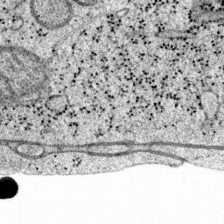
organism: Human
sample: HeLa cells